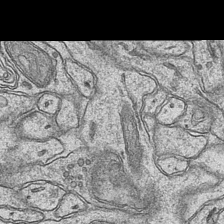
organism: Mouse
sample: CA1 Hippocampus